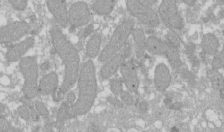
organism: Xenopus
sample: Cilia; centrioles in frog embryo cells